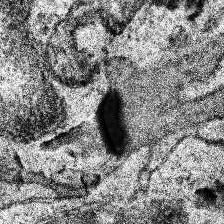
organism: Human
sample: Temporal Lobe